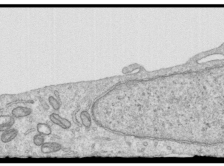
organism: Human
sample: Centriole in RPE cells